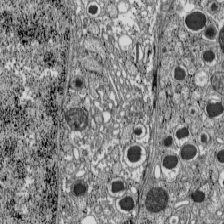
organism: C57BL Mouse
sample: Pancreatic islet